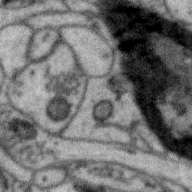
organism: Zebra finch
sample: Brain